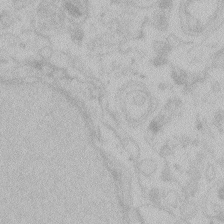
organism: Zebrafish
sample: Macrophage infected with Toxoplasma gondii